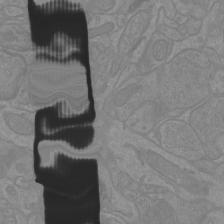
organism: Mouse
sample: Cortical neurons